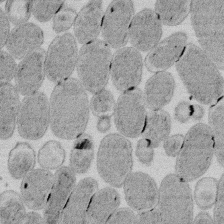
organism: E. coli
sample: Bacterial nucleoid